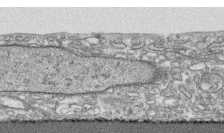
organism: Human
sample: CRL-1474